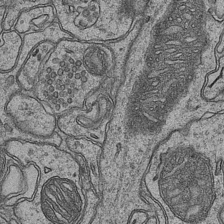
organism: Mouse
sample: CA1 Hippocampus